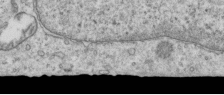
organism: Human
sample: Centriole in RPE cells